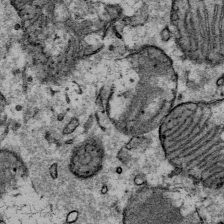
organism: Mouse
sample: Mouse Salivary gland